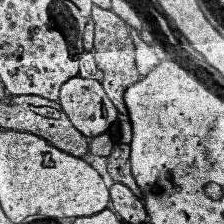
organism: Human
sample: Temporal Lobe